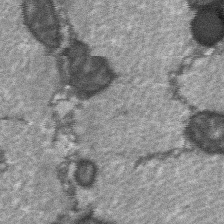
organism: C57BL Mouse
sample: Soleus